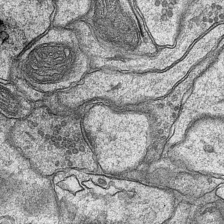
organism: Mouse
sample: CA1 Hippocampus